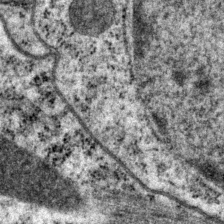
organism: P. pacificus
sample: Pharynx